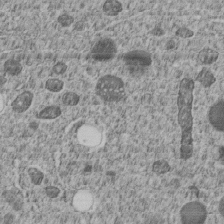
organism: C. elegans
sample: C. elegans embryo early stage